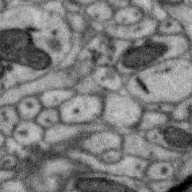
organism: Zebra finch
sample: Brain